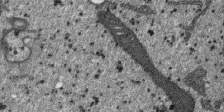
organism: Human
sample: Lung epithelial cells infected with SARS-CoV-2